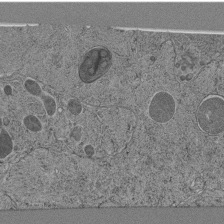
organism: C. elegans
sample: C. elegans pharynx